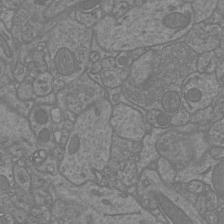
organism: Mouse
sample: Cortical neurons